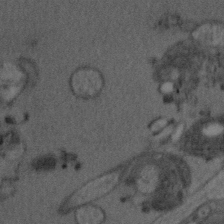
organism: Human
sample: HeLa cells